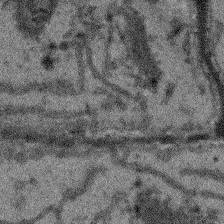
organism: Arabidopsis thaliana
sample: Root tip